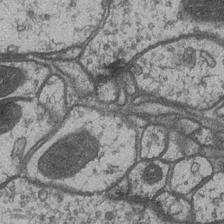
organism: Drosophila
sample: Optic medulla